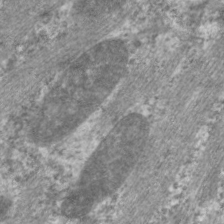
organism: C. elegans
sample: Pharynx